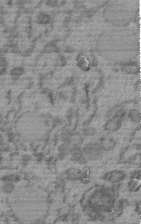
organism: C. elegans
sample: C. elegans embryo early stage